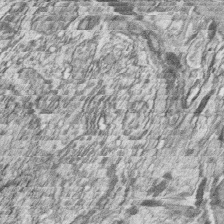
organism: Zebrafish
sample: synaptic ribbons in rod cells and cone cells